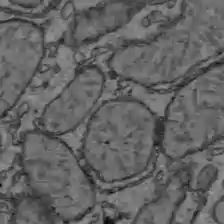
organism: C57BL Mouse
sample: Liver